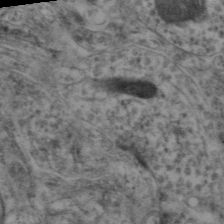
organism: Mouse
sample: Neocortex